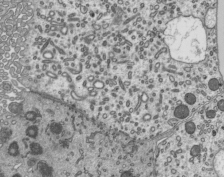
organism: Mouse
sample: Mouse epididymis efferent ductule cilia